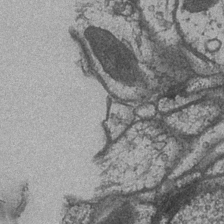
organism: Drosophila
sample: Optic medulla